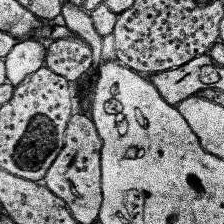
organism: Human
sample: Temporal Lobe